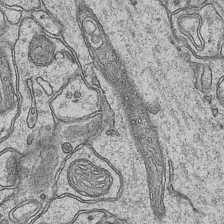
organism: Mouse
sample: CA1 Hippocampus